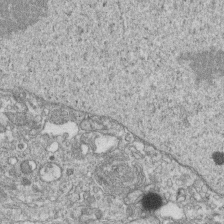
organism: Human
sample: HeLa cell HIV synapse